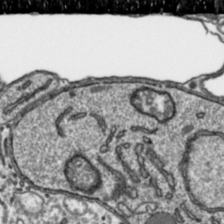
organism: Toxoplasma gondii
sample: Parasites in a vacuole inside a host cell